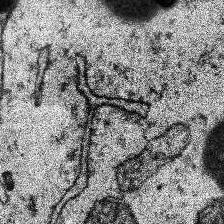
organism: Human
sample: Temporal Lobe